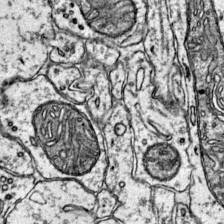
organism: Mouse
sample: Primary visual cortex